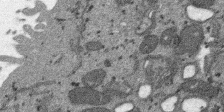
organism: Human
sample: Lung epithelial cells infected with SARS-CoV-2